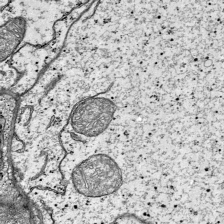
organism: Mouse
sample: Visual Cortex